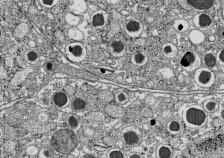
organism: C57BL Mouse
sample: Pancreatic islet